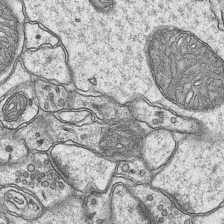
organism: Mouse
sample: CA1 Hippocampus